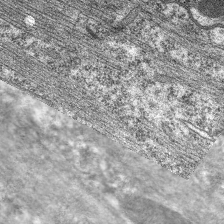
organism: C. elegans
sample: Pharynx